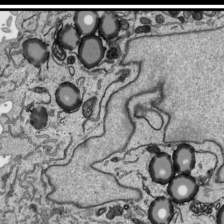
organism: Human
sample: Mitochondria in HCT116 cells